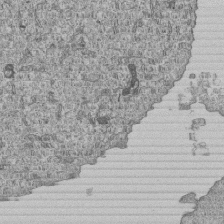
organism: Human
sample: MDA-MB-231 cells